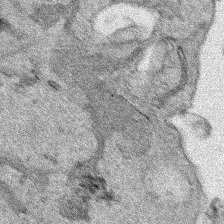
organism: Human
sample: Mitochondria in HCT116 cells